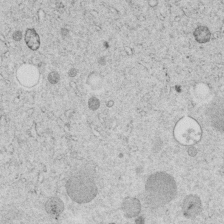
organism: C. elegans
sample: C. elegans embryo early stage